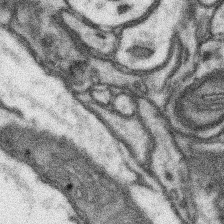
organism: Mouse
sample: Somatosensory cortex neuropil